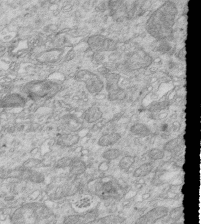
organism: Mouse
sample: Multiciliated cells